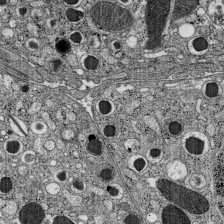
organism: C57BL Mouse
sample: Pancreatic islet